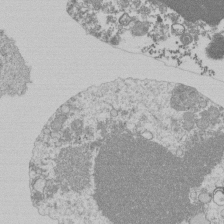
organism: Mouse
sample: Activated Pmel transgenic CD8+ T Cells